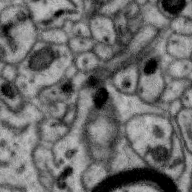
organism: Zebra finch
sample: Brain